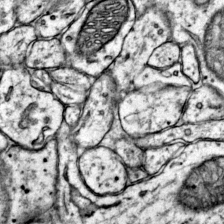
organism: Mouse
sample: Primary visual cortex